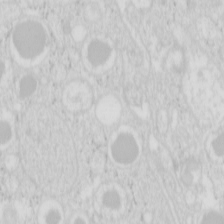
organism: Mouse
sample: Pancreas